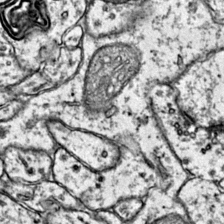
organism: Mouse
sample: Primary visual cortex